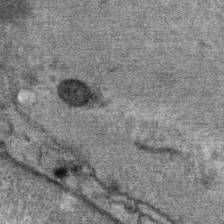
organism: Mouse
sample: Mouse Salivary gland